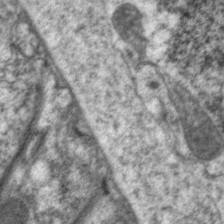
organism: C. elegans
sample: Pharynx